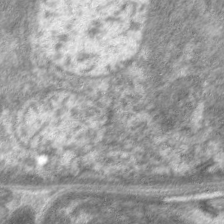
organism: C. elegans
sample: Pharynx